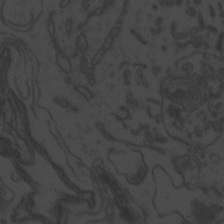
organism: Zebrafish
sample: Macrophage infected with Toxoplasma gondii